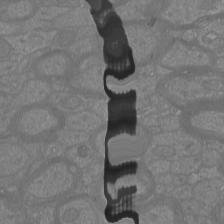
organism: Mouse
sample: Cortical neurons